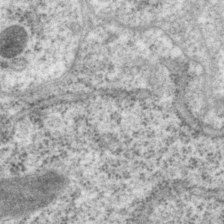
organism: P. pacificus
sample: Pharynx